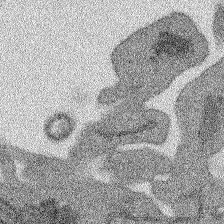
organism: Human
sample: HeLa cells